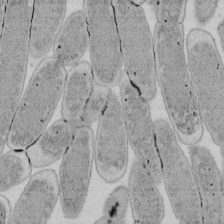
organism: E. coli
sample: Bacterial nucleoid